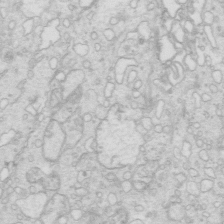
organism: Mouse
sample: Multiciliated cells